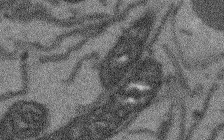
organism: Arabidopsis thaliana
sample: Root tip